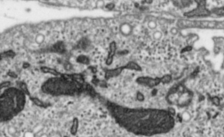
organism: Toxoplasma gondii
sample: Parasites in a vacuole inside a host cell